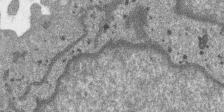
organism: Human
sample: Lung epithelial cells infected with SARS-CoV-2